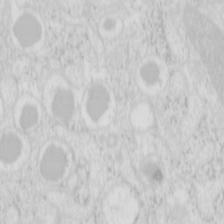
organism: Mouse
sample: Pancreas